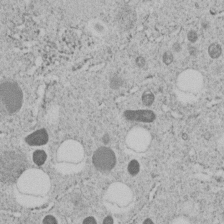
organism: C. elegans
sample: C. elegans embryo early stage